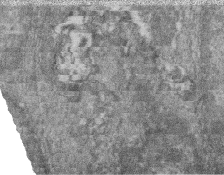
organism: Zebrafish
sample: Cilia; retinal pigment epithelium